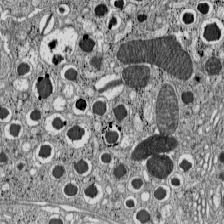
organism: C57BL Mouse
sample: Pancreatic islet